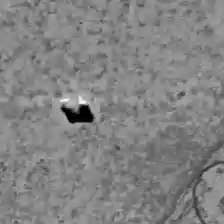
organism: C57BL Mouse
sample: Liver